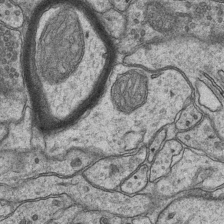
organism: Mouse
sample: CA1 Hippocampus